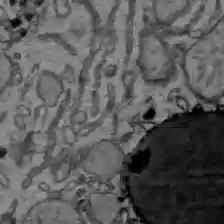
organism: C57BL Mouse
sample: Liver